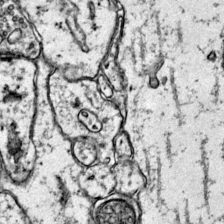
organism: Mouse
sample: Primary visual cortex